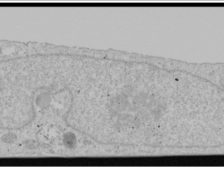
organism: Human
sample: Mitochondria in U2OS cells